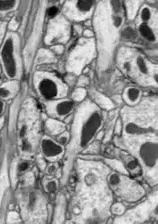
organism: Drosophila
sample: Optic lobe